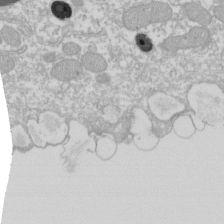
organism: Xenopus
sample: Cilia; centrioles in frog embryo cells